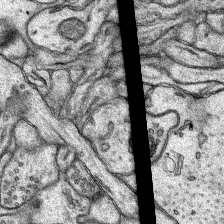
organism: Rat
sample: Hippocampus